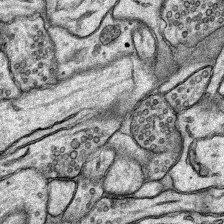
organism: Rat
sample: Hippocampus